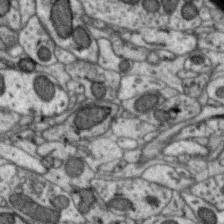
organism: Zebra finch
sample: Brain